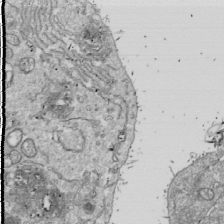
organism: Drosophila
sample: Cell division; meiosis; drosophila spermatocytes